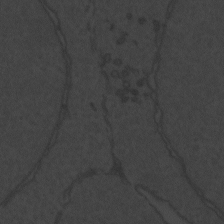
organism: Zebrafish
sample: Macrophage infected with Toxoplasma gondii